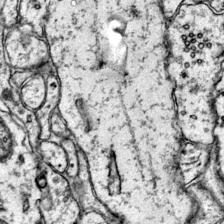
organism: Mouse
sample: Primary visual cortex